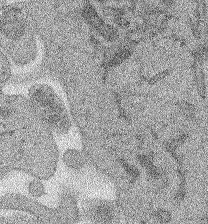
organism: Human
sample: HeLa cells